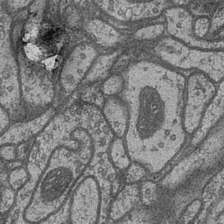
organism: Drosophila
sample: Optic medulla